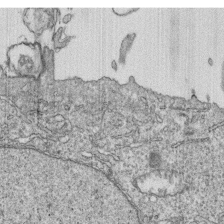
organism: Human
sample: HeLa cell HIV synapse